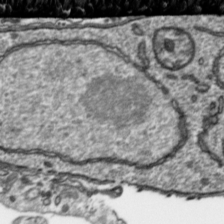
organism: Toxoplasma gondii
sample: Parasites in a vacuole inside a host cell